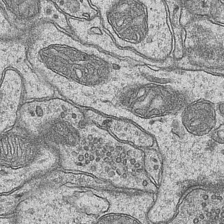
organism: Mouse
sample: CA1 Hippocampus